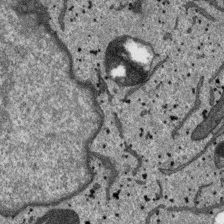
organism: Human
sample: Lung epithelial cells, uninfected (mock) control